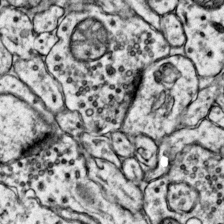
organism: Mouse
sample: Primary visual cortex